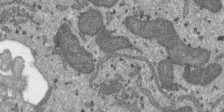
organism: Human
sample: Lung epithelial cells infected with SARS-CoV-2